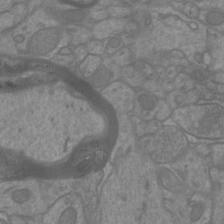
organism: Mouse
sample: Cortical neurons